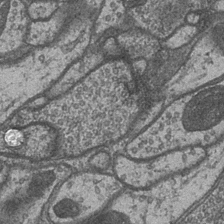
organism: Drosophila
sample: Optic medulla